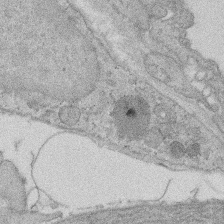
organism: Rat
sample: Salivary granule